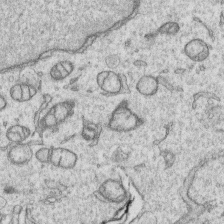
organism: Human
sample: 1205lu cells